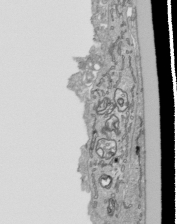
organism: Human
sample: Mitochondria in HCT116 cells